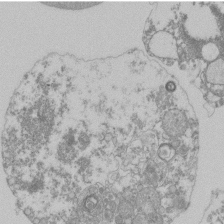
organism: Mouse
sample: Activated Pmel transgenic CD8+ T Cells